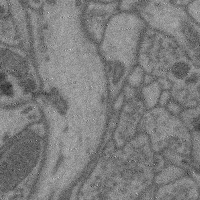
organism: Mouse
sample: Cerebral cortex